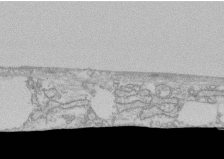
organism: Human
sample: CRL-1474